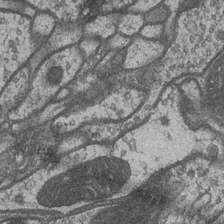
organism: Drosophila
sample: Optic medulla